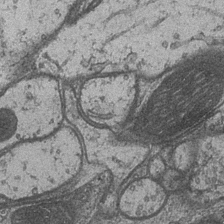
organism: Drosophila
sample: Optic medulla